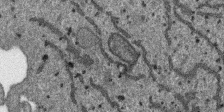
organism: Human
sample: Lung epithelial cells infected with SARS-CoV-2